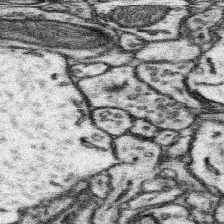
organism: Mouse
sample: Somatosensory cortex neuropil